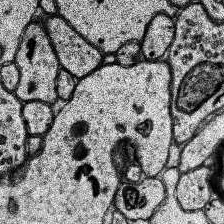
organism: Human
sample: Temporal Lobe